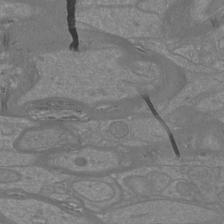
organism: Mouse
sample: Cortical neurons